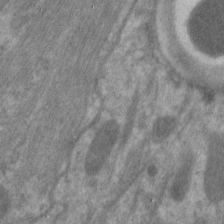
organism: C. elegans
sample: Pharynx